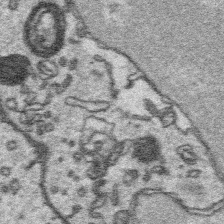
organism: Platynereis dumerilii